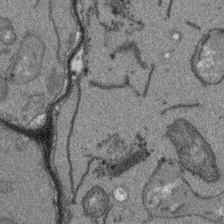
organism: Arabidopsis thaliana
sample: Root tip